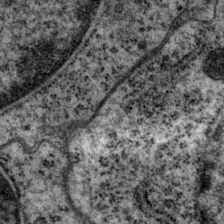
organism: P. pacificus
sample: Pharynx